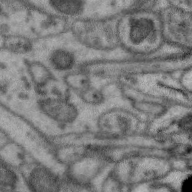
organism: Zebra finch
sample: Brain